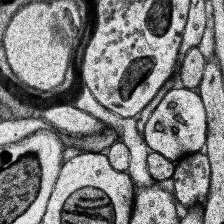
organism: Human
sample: Temporal Lobe